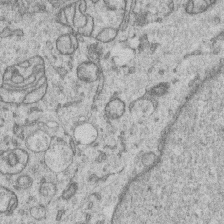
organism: Human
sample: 1205lu cells